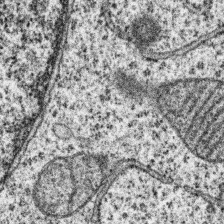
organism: Human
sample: HeLa cells